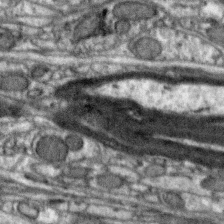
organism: Zebra finch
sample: Brain